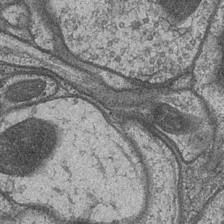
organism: Drosophila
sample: Optic medulla